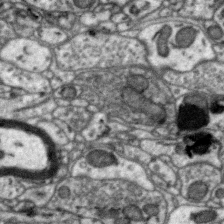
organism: Zebra finch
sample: Brain